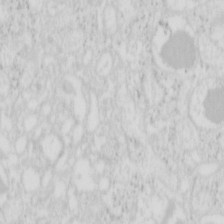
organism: Mouse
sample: Pancreas